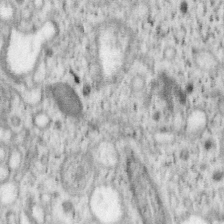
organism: Mouse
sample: OT-I killer T cells with ID8 ovarian cancer cells